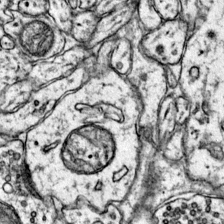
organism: Mouse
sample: Primary visual cortex